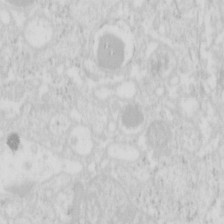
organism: Mouse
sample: Pancreas